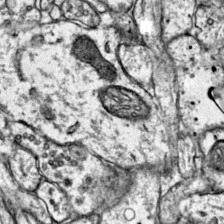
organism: Mouse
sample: Primary visual cortex